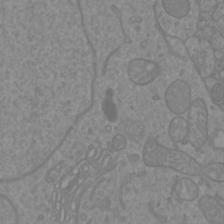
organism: Mouse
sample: Cortical neurons